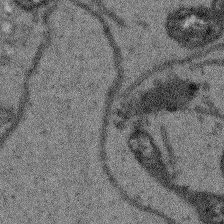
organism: Arabidopsis thaliana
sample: Root tip